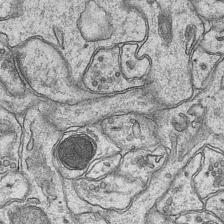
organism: Mouse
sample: CA1 Hippocampus